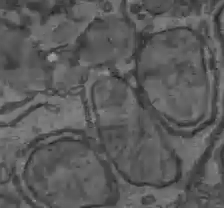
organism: C57BL Mouse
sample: Liver